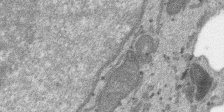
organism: Human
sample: Lung epithelial cells infected with SARS-CoV-2